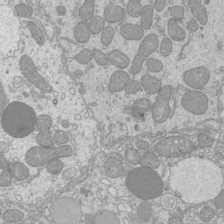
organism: Mouse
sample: Cilia; mouse epididymis